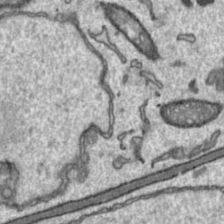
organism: Toxoplasma gondii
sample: Parasites in a vacuole inside a host cell